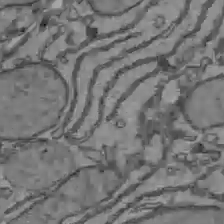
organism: C57BL Mouse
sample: Liver